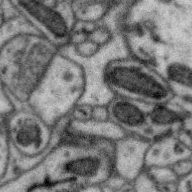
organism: Zebra finch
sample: Brain